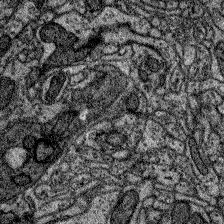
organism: Zebrafish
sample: Larval olfactory bulb